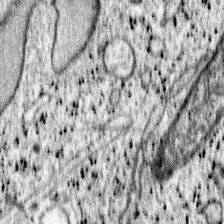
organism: Human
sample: HeLa cells